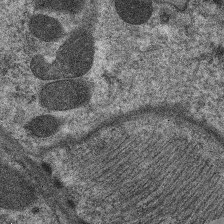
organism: C. elegans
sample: Pharynx